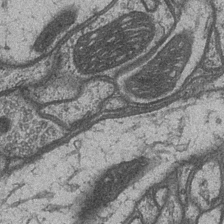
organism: Drosophila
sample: Optic medulla